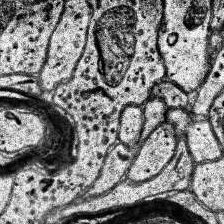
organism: Human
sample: Temporal Lobe